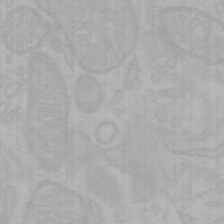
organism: Mouse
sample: Choroid plexus